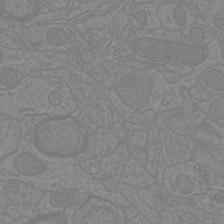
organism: Mouse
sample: Cortical neurons